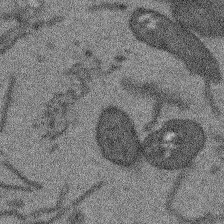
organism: Arabidopsis thaliana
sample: Root tip